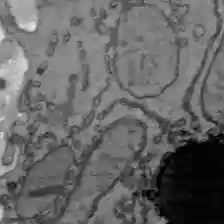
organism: C57BL Mouse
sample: Liver